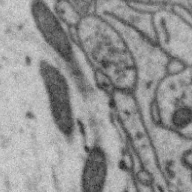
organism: Zebra finch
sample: Brain